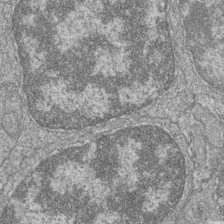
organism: Zebrafish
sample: Cilia; retinal pigment epithelium